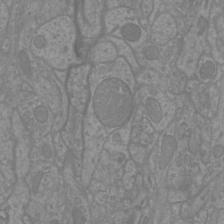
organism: Mouse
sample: Cortical neurons